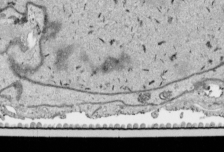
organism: Human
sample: Mitochondria in HCT116 cells